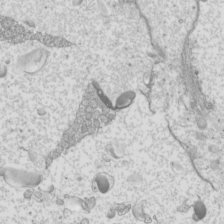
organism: Mouse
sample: Cilia; mouse epididymis